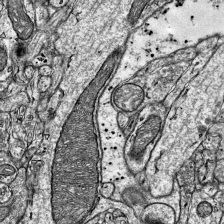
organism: Mouse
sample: Visual Cortex